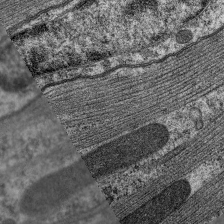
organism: C. elegans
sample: Pharynx